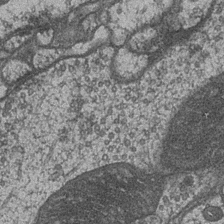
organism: Drosophila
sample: Optic medulla